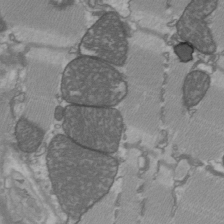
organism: C57BL Mouse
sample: Heart